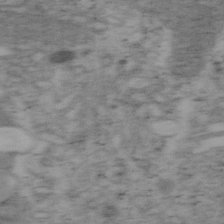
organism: Mouse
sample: OT-I killer T cells with ID8 ovarian cancer cells